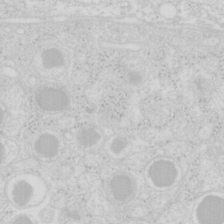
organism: Mouse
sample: Pancreas